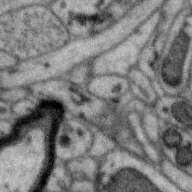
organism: Zebra finch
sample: Brain